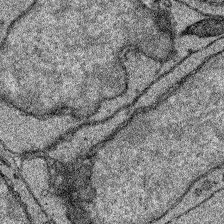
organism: Zebrafish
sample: Larval olfactory bulb